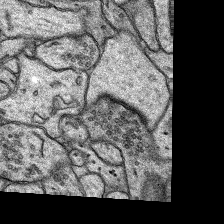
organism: Rat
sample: Hippocampus